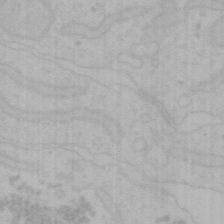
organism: Mouse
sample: Choroid plexus